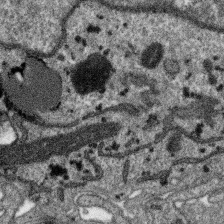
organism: Human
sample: Lung epithelial cells infected with SARS-CoV-2